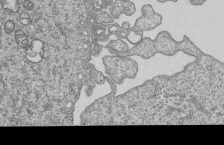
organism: Human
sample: MDA-MB-231 cells